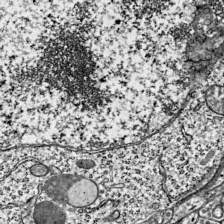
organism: Mouse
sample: Visual Cortex